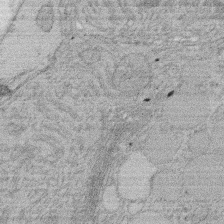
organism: Rat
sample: Salivary granule